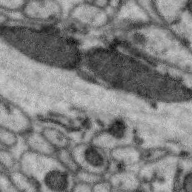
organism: Zebra finch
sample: Brain